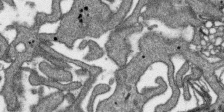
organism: Human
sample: Lung epithelial cells, uninfected (mock) control